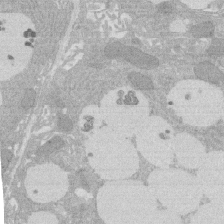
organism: Rat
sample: Salivary granule